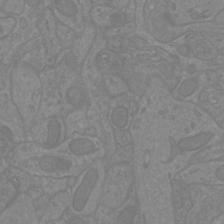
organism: Mouse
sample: Cortical neurons